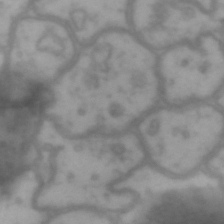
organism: Drosophila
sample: Brain